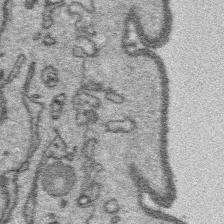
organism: Platynereis dumerilii